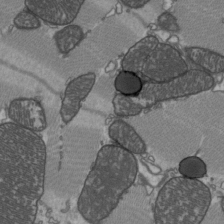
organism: C57BL Mouse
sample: Heart